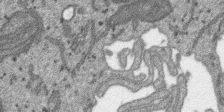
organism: Human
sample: Lung epithelial cells infected with SARS-CoV-2